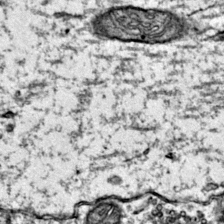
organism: Mouse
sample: Primary visual cortex